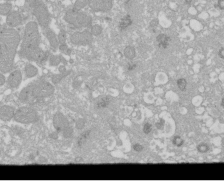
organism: Xenopus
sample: Cilia; centrioles in frog embryo cells